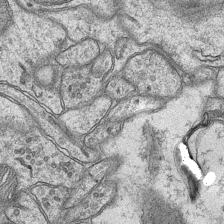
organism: Mouse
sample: CA1 Hippocampus